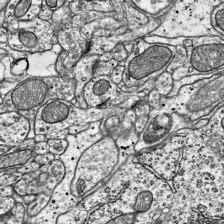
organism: Mouse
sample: Visual Cortex